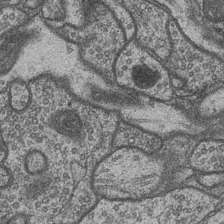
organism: Drosophila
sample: Optic medulla